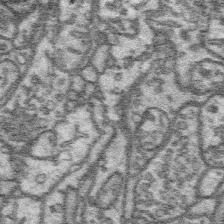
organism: Platynereis dumerilii